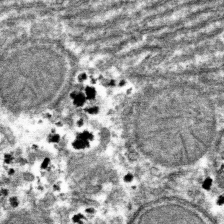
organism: Mouse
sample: Mouse hepatocytes